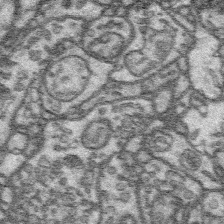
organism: Platynereis dumerilii